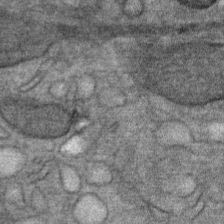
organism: Mouse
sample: Mouse Salivary gland